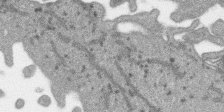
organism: Human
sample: Lung epithelial cells infected with SARS-CoV-2